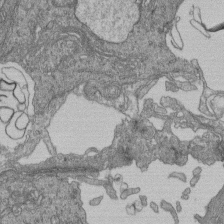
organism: Human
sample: Retinal organoid Rod and Cone cells